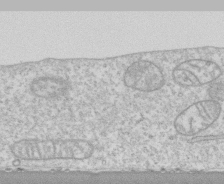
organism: Human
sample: CRL-1474